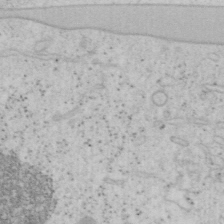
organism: Human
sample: HeLa cells